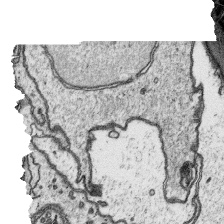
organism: Platynereis dumerilii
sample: Parapodia